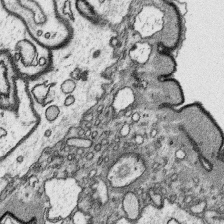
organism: Platynereis dumerilii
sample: Parapodia